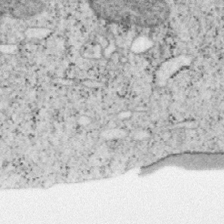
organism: Mouse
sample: OT-I killer T cells with ID8 ovarian cancer cells